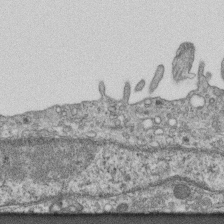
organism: Mouse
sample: Centriole in ependymal cells